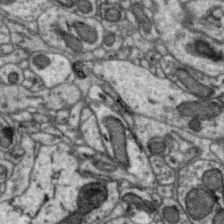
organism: Zebra finch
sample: Brain